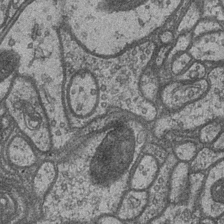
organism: Drosophila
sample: Optic medulla